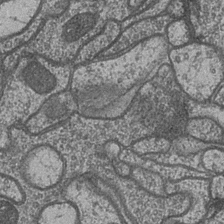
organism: Drosophila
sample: Optic medulla